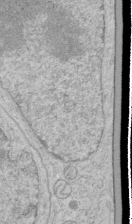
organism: Human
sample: Mitochondria in HCT116 cells